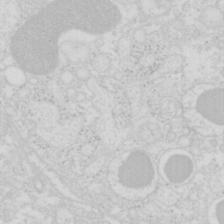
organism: Mouse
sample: Pancreas